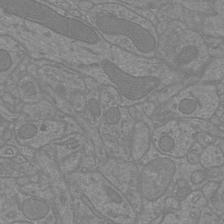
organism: Mouse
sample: Cortical neurons